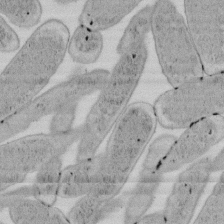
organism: E. coli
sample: Bacterial nucleoid